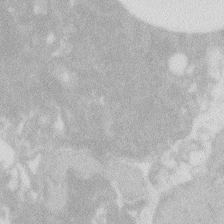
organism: Zebrafish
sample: Macrophage